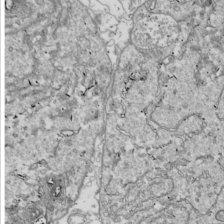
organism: Drosophila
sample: Cell division; meiosis; drosophila spermatocytes